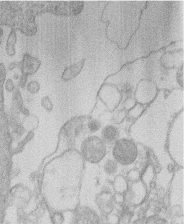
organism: Human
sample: Macrophage cells